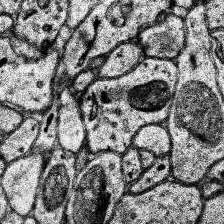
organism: Human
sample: Temporal Lobe